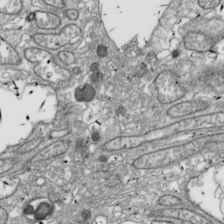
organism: Drosophila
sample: Cell division; meiosis; drosophila spermatocytes